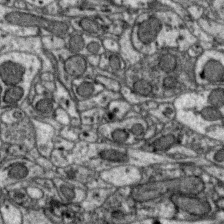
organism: Zebra finch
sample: Brain